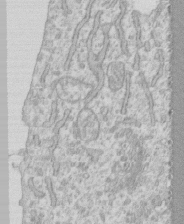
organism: Human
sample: CRL-1474